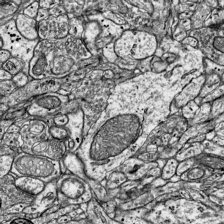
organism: Mouse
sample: Visual Cortex